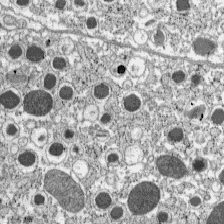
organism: C57BL Mouse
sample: Pancreatic islet